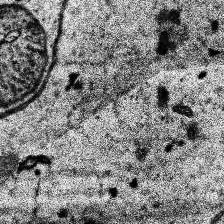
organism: Human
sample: Temporal Lobe